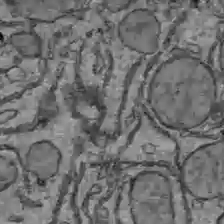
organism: C57BL Mouse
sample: Liver